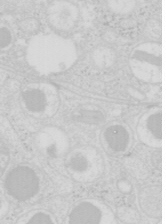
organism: Mouse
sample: Pancreas